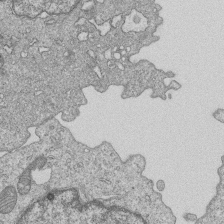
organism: Human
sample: MDA-MB-231 cells